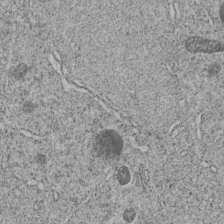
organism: C. elegans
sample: C. elegans embryo early stage